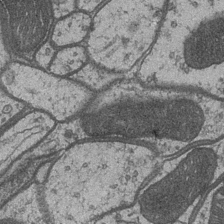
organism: Drosophila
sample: Optic medulla